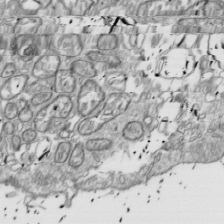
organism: Drosophila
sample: Cell division; meiosis; drosophila spermatocytes